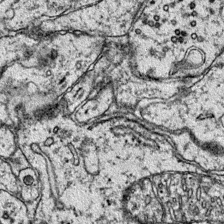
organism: Mouse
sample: Primary visual cortex